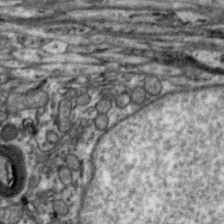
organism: Zebra finch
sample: Brain